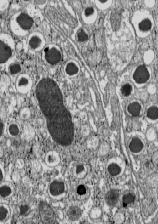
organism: C57BL Mouse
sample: Pancreatic islet